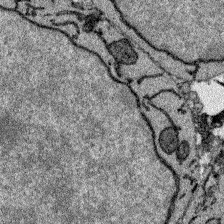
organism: Zebrafish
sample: Larval olfactory bulb